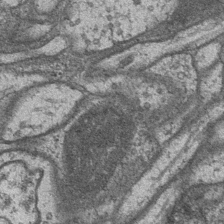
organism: Drosophila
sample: Optic medulla